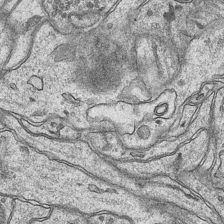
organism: Mouse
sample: CA1 Hippocampus